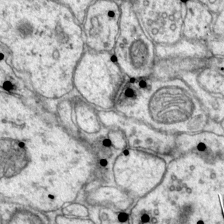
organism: Mouse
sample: Primary visual cortex